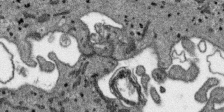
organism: Human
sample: Lung epithelial cells, uninfected (mock) control